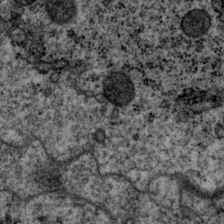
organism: P. pacificus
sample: Pharynx